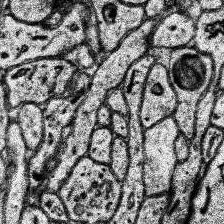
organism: Human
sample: Temporal Lobe